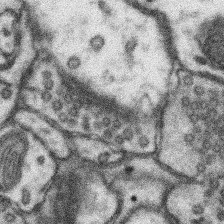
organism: Mouse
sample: Somatosensory cortex neuropil